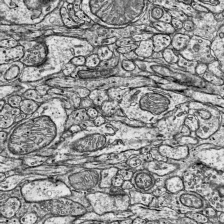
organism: Mouse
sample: Visual Cortex